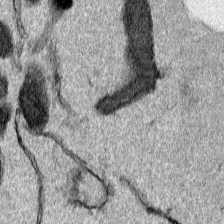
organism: Human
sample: Mitochondria in HCT116 cells